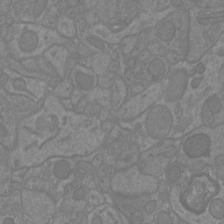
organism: Mouse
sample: Cortical neurons